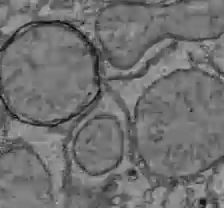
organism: C57BL Mouse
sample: Liver